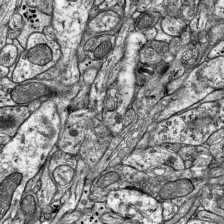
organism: Mouse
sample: Visual Cortex